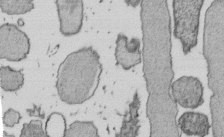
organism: E. coli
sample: Bacterial nucleoid